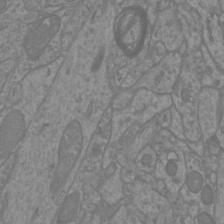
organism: Mouse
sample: Cortical neurons